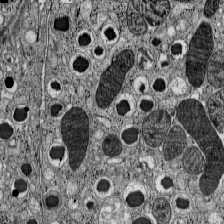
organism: C57BL Mouse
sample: Pancreatic islet